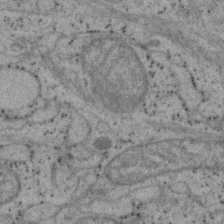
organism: Human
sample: HeLa cells